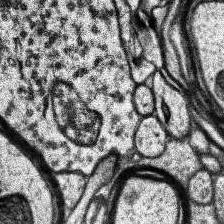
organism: Human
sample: Temporal Lobe